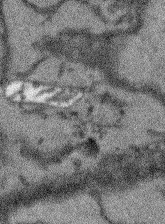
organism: Arabidopsis thaliana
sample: Root tip